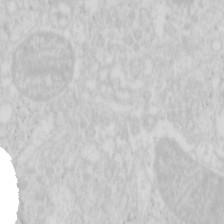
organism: Mouse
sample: Pancreas